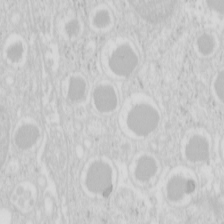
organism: Mouse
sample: Pancreas